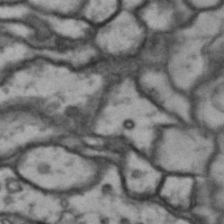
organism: Drosophila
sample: Brain